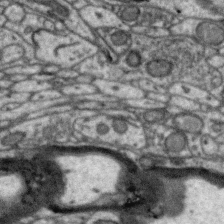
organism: Zebra finch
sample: Brain